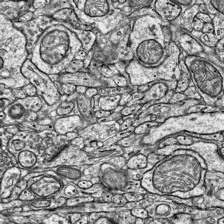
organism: Mouse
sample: Visual Cortex